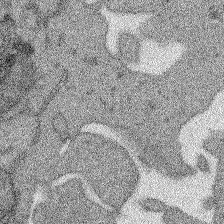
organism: Human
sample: HeLa cells